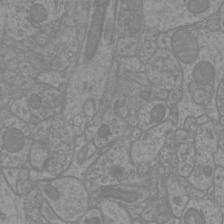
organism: Mouse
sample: Cortical neurons